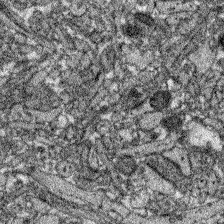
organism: Zebrafish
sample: Larval olfactory bulb